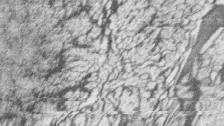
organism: Zebrafish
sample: synaptic ribbons in rod cells and cone cells